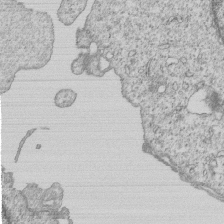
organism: Human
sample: MDA-MB-231 cells